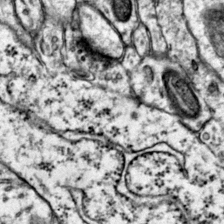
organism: Mouse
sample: Primary visual cortex